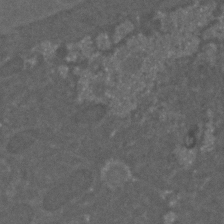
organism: C. elegans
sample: C. elegans embryo